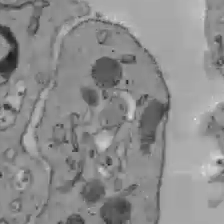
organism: C57BL Mouse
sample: Liver